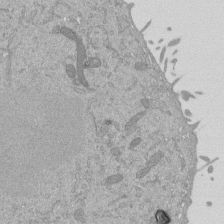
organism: Mouse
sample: ED-1 cell nuclei; centrioles